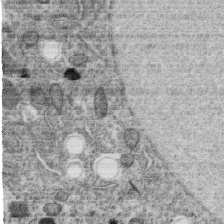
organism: C. elegans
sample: C. elegans oocyte; sperm cells